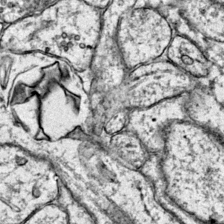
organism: Mouse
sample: Primary visual cortex